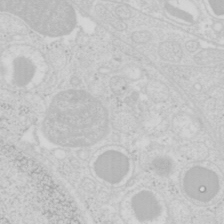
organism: Mouse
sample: Pancreas